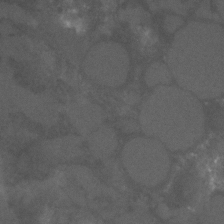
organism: C. elegans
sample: C. elegans embryo